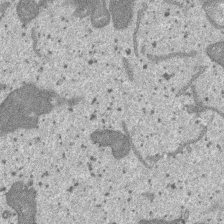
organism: Human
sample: Lung epithelial cells infected with SARS-CoV-2